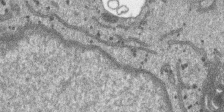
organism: Human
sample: Lung epithelial cells infected with SARS-CoV-2